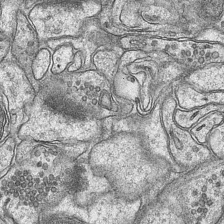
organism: Mouse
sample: CA1 Hippocampus